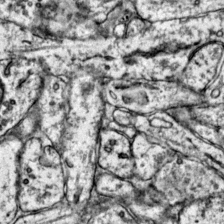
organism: Mouse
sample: Primary visual cortex